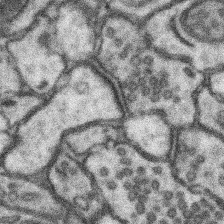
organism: Mouse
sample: Somatosensory cortex neuropil